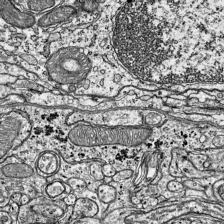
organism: Mouse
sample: Visual Cortex